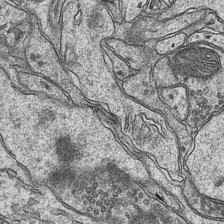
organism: Mouse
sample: CA1 Hippocampus